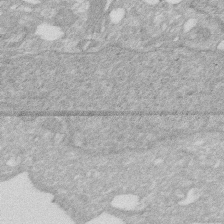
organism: Human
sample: HIV infected U937 cells